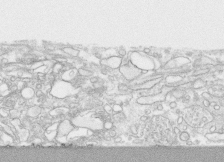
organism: Human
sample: CRL-1474